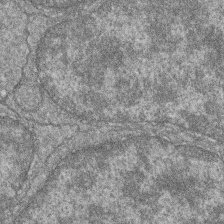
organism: Zebrafish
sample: Cilia; retinal pigment epithelium